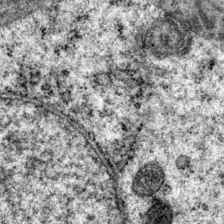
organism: P. pacificus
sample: Pharynx